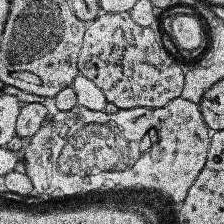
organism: Human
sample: Temporal Lobe